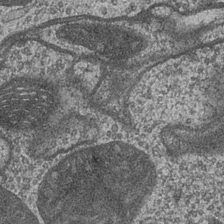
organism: Drosophila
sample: Optic medulla